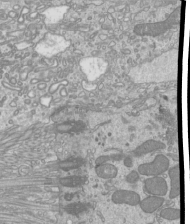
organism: Mouse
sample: Cilia; mouse epididymis